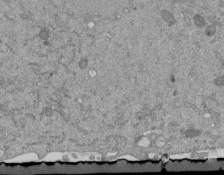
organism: Mouse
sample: ED-1 cell nuclei; centrioles